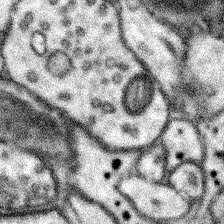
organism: Mouse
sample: Somatosensory cortex neuropil